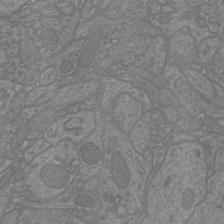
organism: Mouse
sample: Cortical neurons